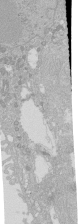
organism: Human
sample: Caco-2 cells